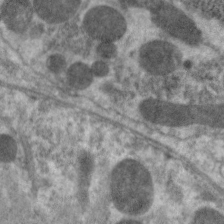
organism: C. elegans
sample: Pharynx